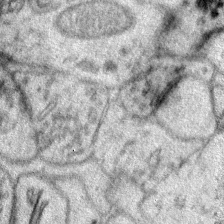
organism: Mouse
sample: Primary visual cortex